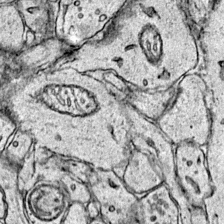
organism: Mouse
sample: Primary visual cortex